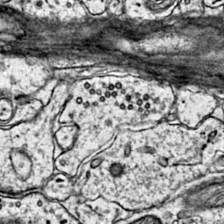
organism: Mouse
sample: Primary visual cortex